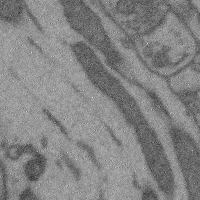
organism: Mouse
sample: Cerebral cortex